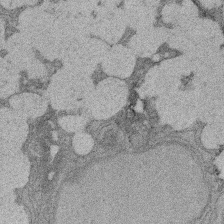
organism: Rat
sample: Salivary granule